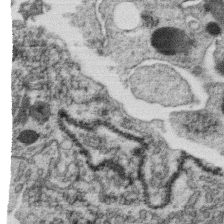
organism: C. elegans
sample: C. elegans oocyte; sperm cells